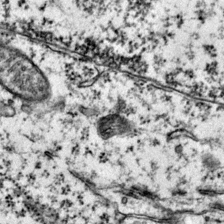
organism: Mouse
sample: Primary visual cortex